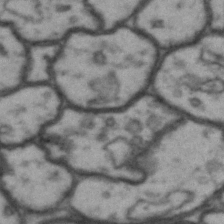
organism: Drosophila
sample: Brain